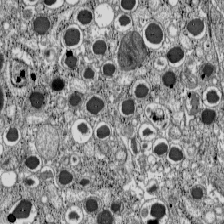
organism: C57BL Mouse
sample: Pancreatic islet